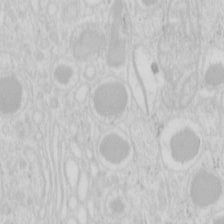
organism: Mouse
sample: Pancreas